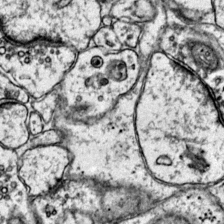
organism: Mouse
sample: Primary visual cortex